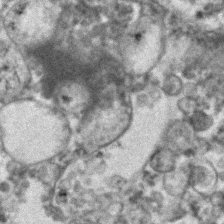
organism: Human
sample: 1205lu cells